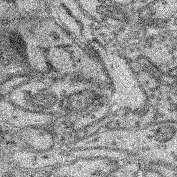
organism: Mouse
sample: Retina